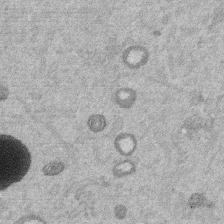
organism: Mouse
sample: Dividing mouse embryo 1 cell stage